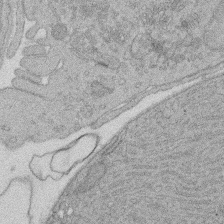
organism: Rat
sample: Salivary granule